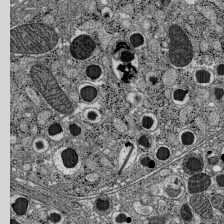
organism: C57BL Mouse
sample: Pancreatic islet